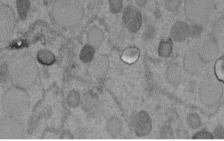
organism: C. elegans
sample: C. elegans embryo early stage